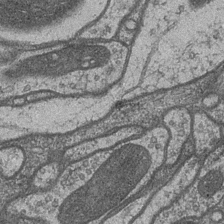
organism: Drosophila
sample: Optic medulla